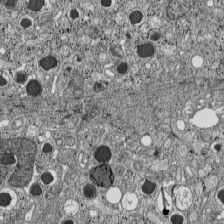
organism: C57BL Mouse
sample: Pancreatic islet